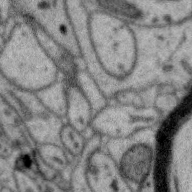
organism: Zebra finch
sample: Brain